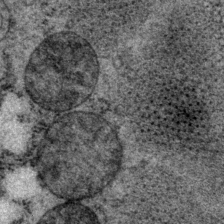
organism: P. pacificus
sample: Pharynx